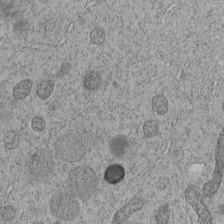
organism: C. elegans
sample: C. elegans embryo early stage